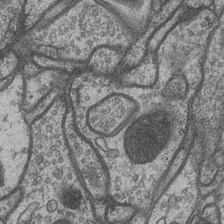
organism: Drosophila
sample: Optic medulla